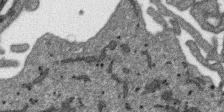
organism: Human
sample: Lung epithelial cells infected with SARS-CoV-2